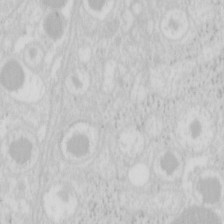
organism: Mouse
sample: Pancreas